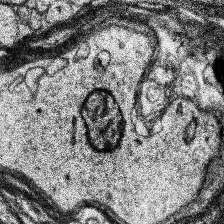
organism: Human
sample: Temporal Lobe